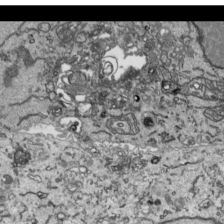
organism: Human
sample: Mitochondria in HCT116 cells